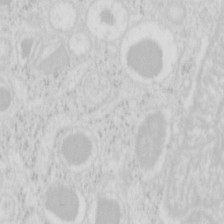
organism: Mouse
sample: Pancreas